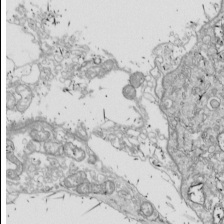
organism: Drosophila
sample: Cell division; meiosis; drosophila spermatocytes